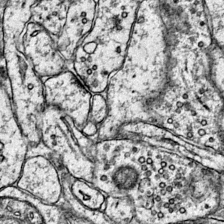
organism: Mouse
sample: Primary visual cortex